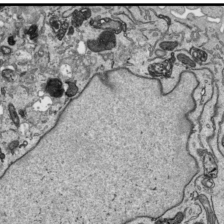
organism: Human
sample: Mitochondria in HCT116 cells